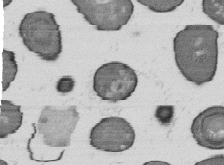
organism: B. subtilis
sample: Bacterial spore